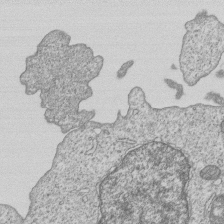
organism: Human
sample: MDA-MB-231 cells